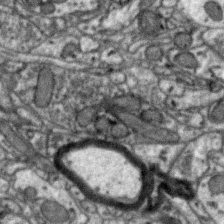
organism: Zebra finch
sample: Brain